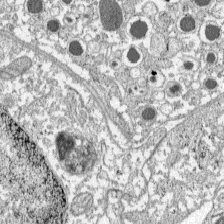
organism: C57BL Mouse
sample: Pancreatic islet